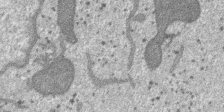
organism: Human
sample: Lung epithelial cells infected with SARS-CoV-2